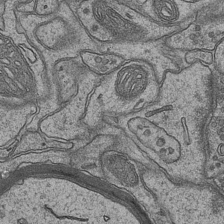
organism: Mouse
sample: CA1 Hippocampus